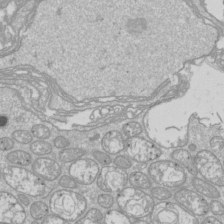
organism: Drosophila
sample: Cell division; meiosis; drosophila spermatocytes